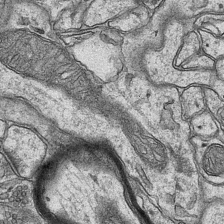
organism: Mouse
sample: CA1 Hippocampus